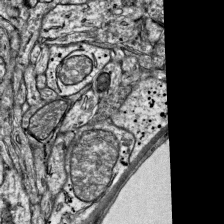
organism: Mouse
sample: Visual Cortex